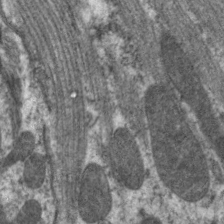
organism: C. elegans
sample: Pharynx